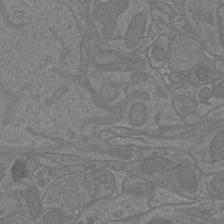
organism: Mouse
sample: Cortical neurons